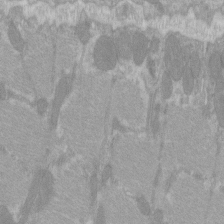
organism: C57BL Mouse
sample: Tibialis anterior muscle cell